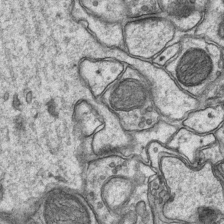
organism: Mouse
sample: CA1 Hippocampus